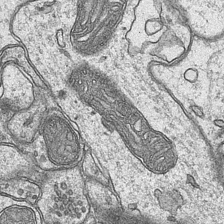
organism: Mouse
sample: CA1 Hippocampus